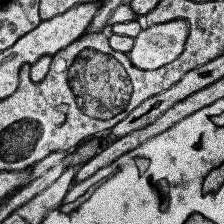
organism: Human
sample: Temporal Lobe